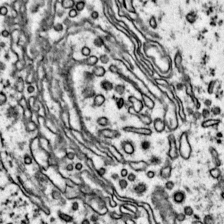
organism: Mouse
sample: Primary visual cortex